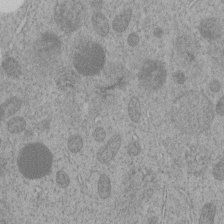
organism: C. elegans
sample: C. elegans embryo early stage